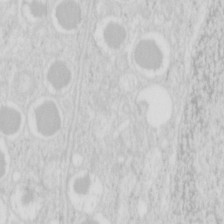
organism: Mouse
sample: Pancreas